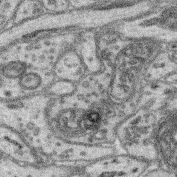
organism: Mouse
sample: Retina